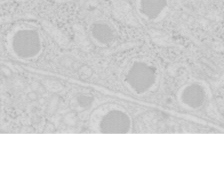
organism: Mouse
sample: Pancreas